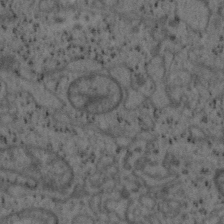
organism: Human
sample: HeLa cells